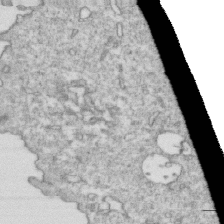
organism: Mouse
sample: Activated OT-1 CD8+ T cells